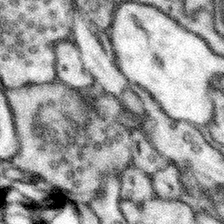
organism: Mouse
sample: Somatosensory cortex neuropil